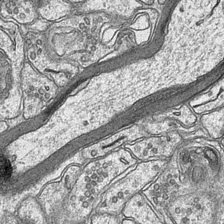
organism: Mouse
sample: CA1 Hippocampus